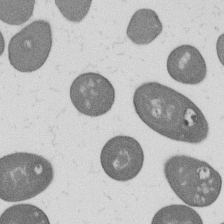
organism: B. subtilis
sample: Bacterial spore